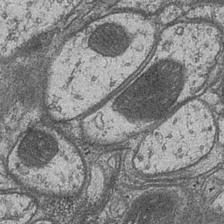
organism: Drosophila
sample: Optic medulla